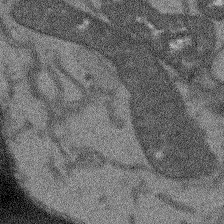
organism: Arabidopsis thaliana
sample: Root tip